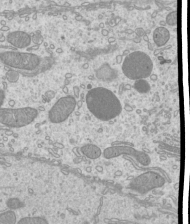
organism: Mouse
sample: Cilia; mouse epididymis